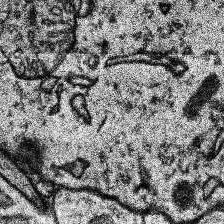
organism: Human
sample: Temporal Lobe